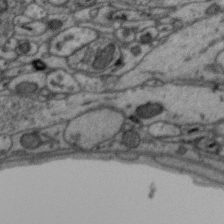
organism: Zebra finch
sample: Brain